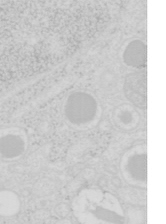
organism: Mouse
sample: Pancreas